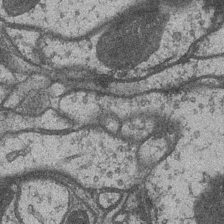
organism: Drosophila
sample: Optic medulla